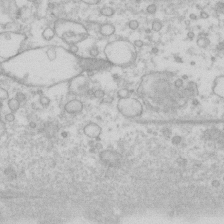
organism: Human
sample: Fibroblast cells